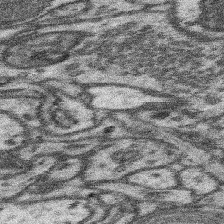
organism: Mouse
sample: Somatosensory cortex neuropil